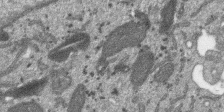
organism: Human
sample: Lung epithelial cells infected with SARS-CoV-2